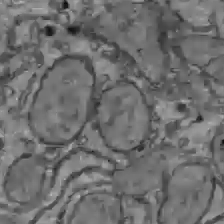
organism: C57BL Mouse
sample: Liver